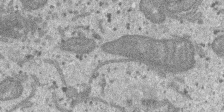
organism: Human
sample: Lung epithelial cells infected with SARS-CoV-2